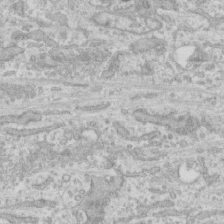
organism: Human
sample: CRL-1474